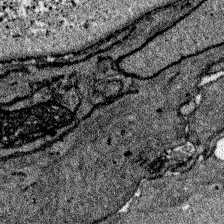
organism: Zebrafish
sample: Larval olfactory bulb